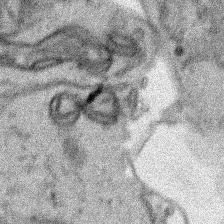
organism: Human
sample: Mitochondria in HCT116 cells